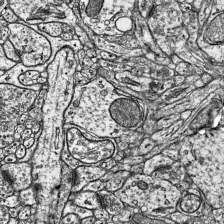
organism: Mouse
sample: Visual Cortex